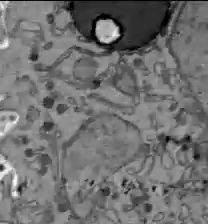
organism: C57BL Mouse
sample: Liver